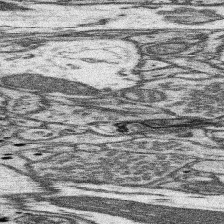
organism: Mouse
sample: Somatosensory cortex neuropil